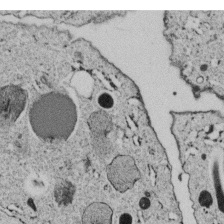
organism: C. elegans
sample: C. elegans embryo early stage